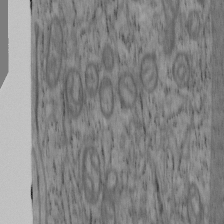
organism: Human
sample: HeLa cells